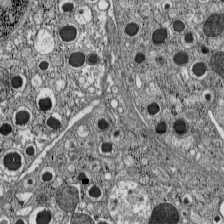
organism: C57BL Mouse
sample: Pancreatic islet